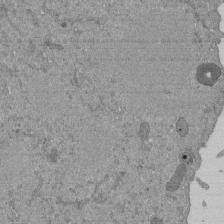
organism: Mouse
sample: ED-1 cell nuclei; centrioles